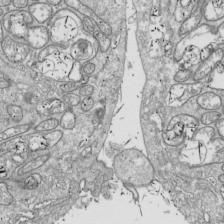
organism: Drosophila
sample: Cell division; meiosis; drosophila spermatocytes